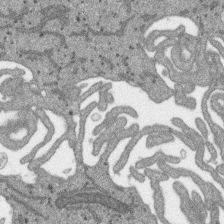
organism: Human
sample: Lung epithelial cells infected with SARS-CoV-2